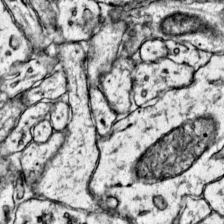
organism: Mouse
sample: Primary visual cortex